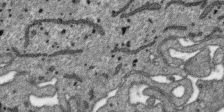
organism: Human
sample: Lung epithelial cells, uninfected (mock) control